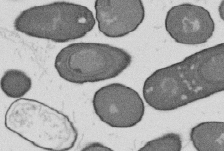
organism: B. subtilis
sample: Bacterial spore